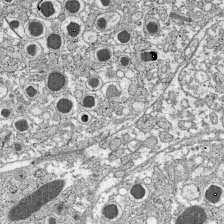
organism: C57BL Mouse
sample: Pancreatic islet